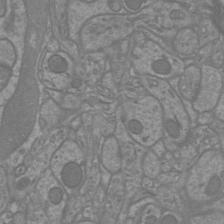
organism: Mouse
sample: Cortical neurons